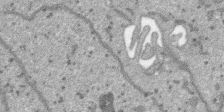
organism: Human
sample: Lung epithelial cells infected with SARS-CoV-2